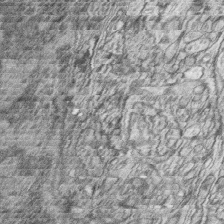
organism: Zebrafish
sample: synaptic ribbons in rod cells and cone cells